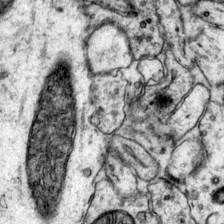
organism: Mouse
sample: Primary visual cortex